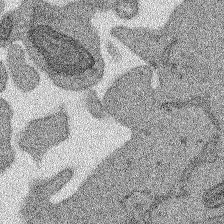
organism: Human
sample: HeLa cells